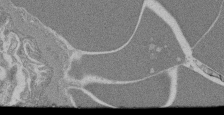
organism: Mouse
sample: Glomerulus